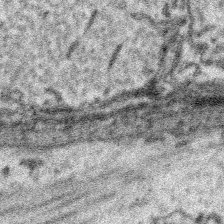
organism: Platynereis dumerilii